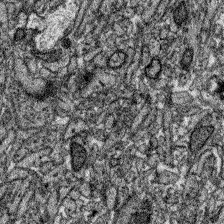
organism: Zebrafish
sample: Larval olfactory bulb